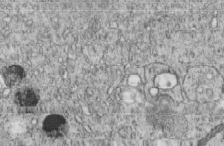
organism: C. elegans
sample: C. elegans embryo early stage